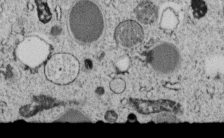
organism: C. elegans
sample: C. elegans embryo early stage